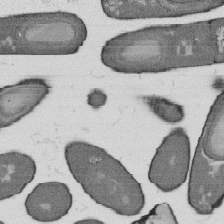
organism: B. subtilis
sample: Bacterial spore